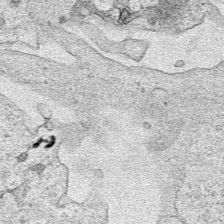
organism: Human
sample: Mitochondria in HCT116 cells